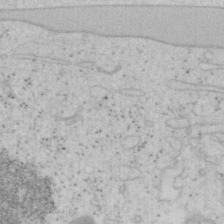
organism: Human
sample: HeLa cells